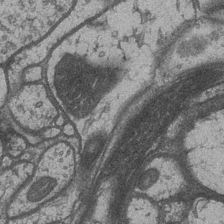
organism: Drosophila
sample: Optic medulla